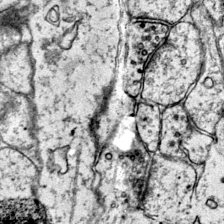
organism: Mouse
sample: Primary visual cortex